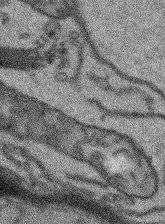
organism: Arabidopsis thaliana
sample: Root tip